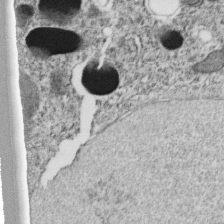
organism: C. elegans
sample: C. elegans embryo early stage